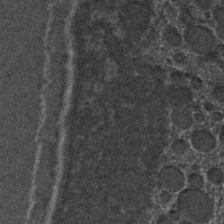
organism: C. elegans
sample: C. elegans embryo